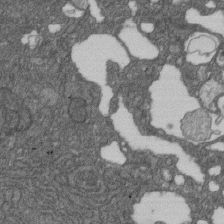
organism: Drosophila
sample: Nephrocyte